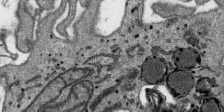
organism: Human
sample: Lung epithelial cells, uninfected (mock) control